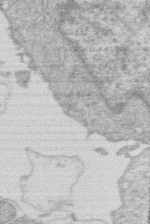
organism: Human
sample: Macrophage cells